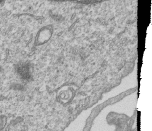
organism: Human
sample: MDA-MB-231 cells